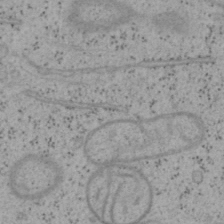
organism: Human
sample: HeLa cells